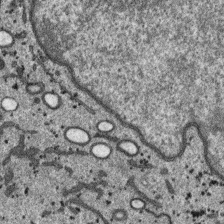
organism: Human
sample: Lung epithelial cells infected with SARS-CoV-2